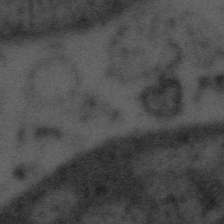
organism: Tuwongella immobilis